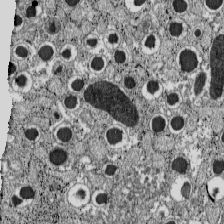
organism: C57BL Mouse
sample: Pancreatic islet